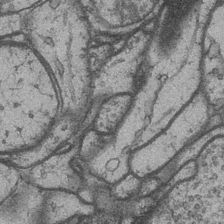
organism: Drosophila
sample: Optic medulla